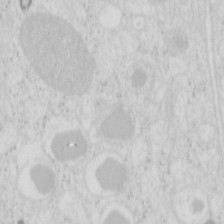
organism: Mouse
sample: Pancreas